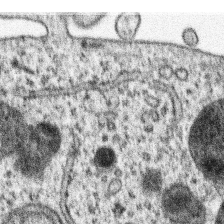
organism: Human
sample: HeLa cells